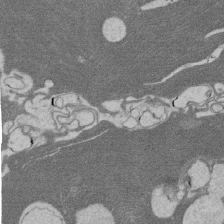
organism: Rat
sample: Salivary granule